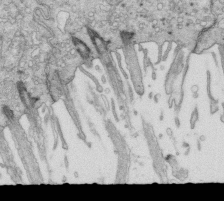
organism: Mouse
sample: Multiciliated cells